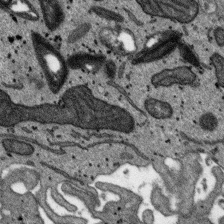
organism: Human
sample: Lung epithelial cells, uninfected (mock) control